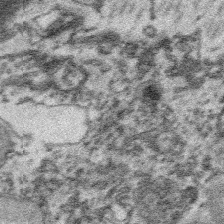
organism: Platynereis dumerilii